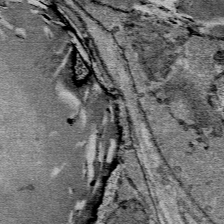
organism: Mouse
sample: Mouse Salivary gland